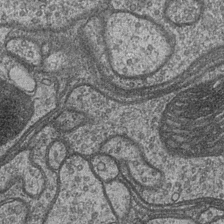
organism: Drosophila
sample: Optic medulla